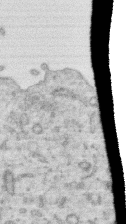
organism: Human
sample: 1205lu cells